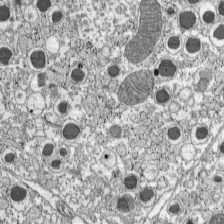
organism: C57BL Mouse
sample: Pancreatic islet